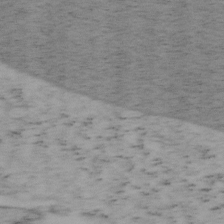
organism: Mouse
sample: OT-I killer T cells with ID8 ovarian cancer cells